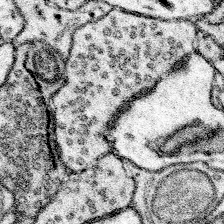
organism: Mouse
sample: Somatosensory cortex neuropil